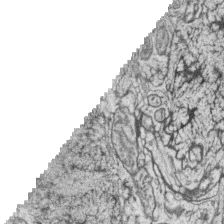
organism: Zebrafish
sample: synaptic ribbons in rod cells and cone cells